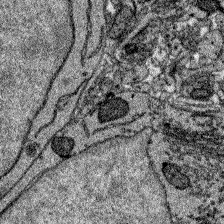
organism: Zebrafish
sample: Larval olfactory bulb